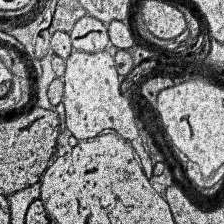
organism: Human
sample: Temporal Lobe